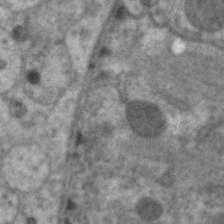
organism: C. elegans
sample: Pharynx